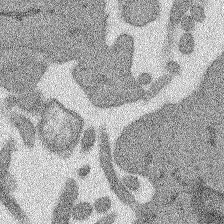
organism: Human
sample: HeLa cells